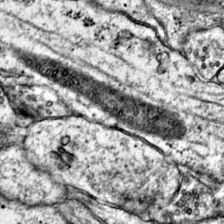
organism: Mouse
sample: Primary visual cortex